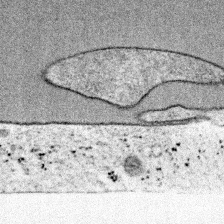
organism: Human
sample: HeLa cells